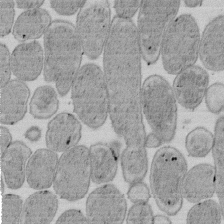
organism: E. coli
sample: Bacterial nucleoid